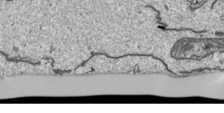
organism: Human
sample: Mitochondria in HCT116 cells